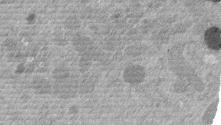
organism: Mouse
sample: Dividing mouse embryo 1 cell stage